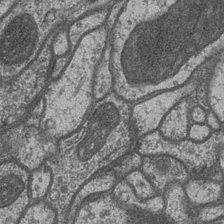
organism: Drosophila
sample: Optic medulla